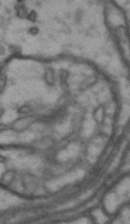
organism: Drosophila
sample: Brain